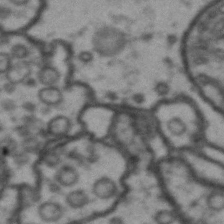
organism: Drosophila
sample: Brain